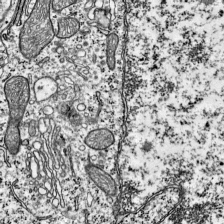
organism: Mouse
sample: Visual Cortex